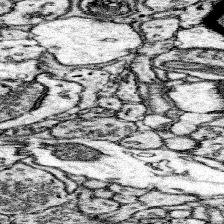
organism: Mouse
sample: Somatosensory cortex neuropil